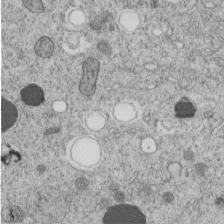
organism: C. elegans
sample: C. elegans embryo early stage